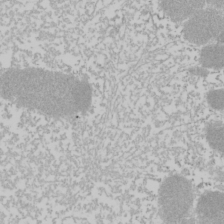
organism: Mouse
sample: Cancer cell death in ED-1 cells